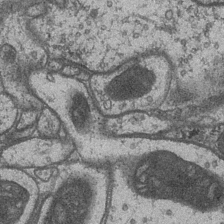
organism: Drosophila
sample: Optic medulla